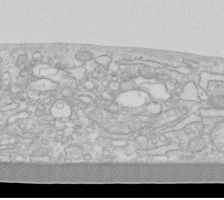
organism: Human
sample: Fibroblast cells